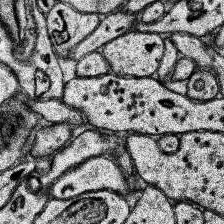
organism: Human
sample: Temporal Lobe